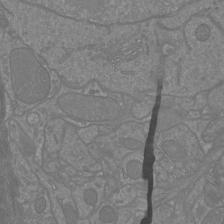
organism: Mouse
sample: Cortical neurons